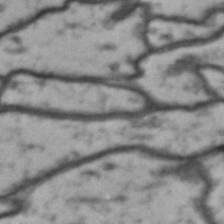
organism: Drosophila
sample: Brain